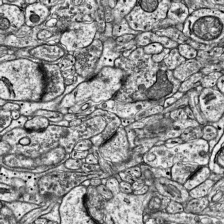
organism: Mouse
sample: Visual Cortex